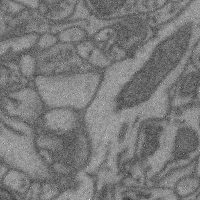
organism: Mouse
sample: Cerebral cortex